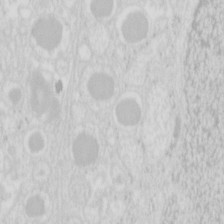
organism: Mouse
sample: Pancreas